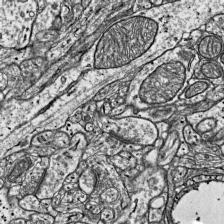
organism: Mouse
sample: Visual Cortex